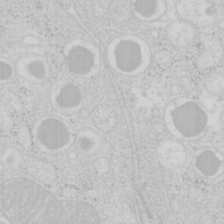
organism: Mouse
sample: Pancreas